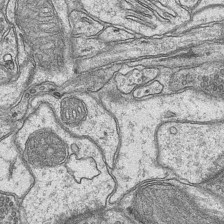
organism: Mouse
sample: CA1 Hippocampus